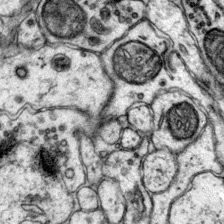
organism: Mouse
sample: Primary visual cortex